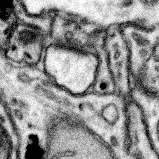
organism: Mouse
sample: Somatosensory cortex neuropil